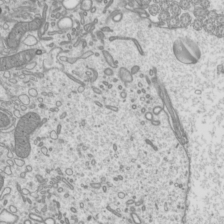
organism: Mouse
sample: Cilia; mouse epididymis